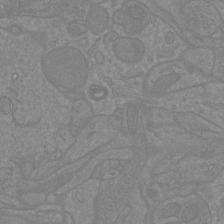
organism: Mouse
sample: Cortical neurons